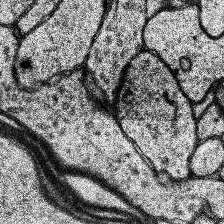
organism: Human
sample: Temporal Lobe